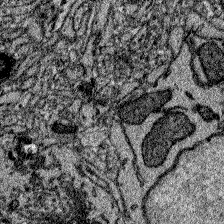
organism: Zebrafish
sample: Larval olfactory bulb